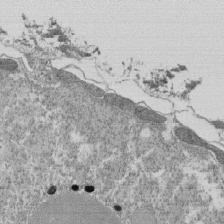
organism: Tetrahymena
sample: Cilia in tetrahymena